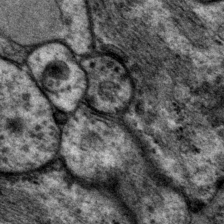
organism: P. pacificus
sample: Pharynx